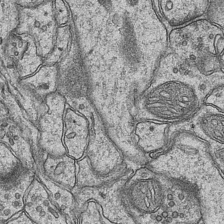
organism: Mouse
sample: CA1 Hippocampus